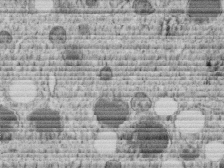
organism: C. elegans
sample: C. elegans embryo early stage